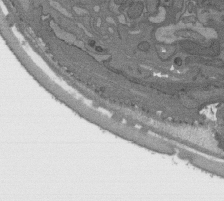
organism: C. elegans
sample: AFD neurons C. elegans